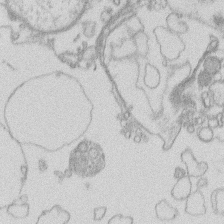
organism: Human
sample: Macrophage cells